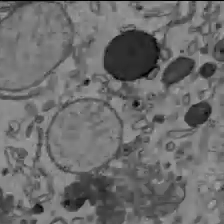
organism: C57BL Mouse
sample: Liver